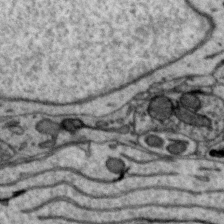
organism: Zebra finch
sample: Brain